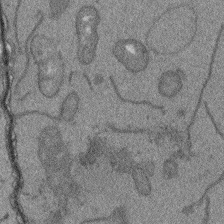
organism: Arabidopsis thaliana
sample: Root tip